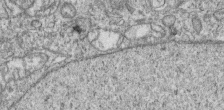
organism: Human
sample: HeLa cell HIV synapse